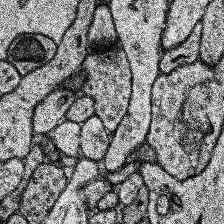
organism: Human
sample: Temporal Lobe